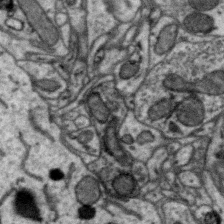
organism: Zebra finch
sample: Brain